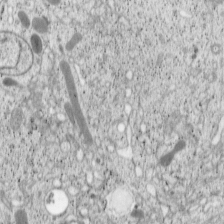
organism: African green monkey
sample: COS-7 cells